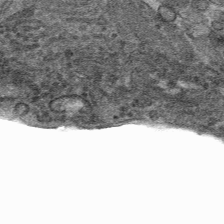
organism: Mouse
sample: Mouse hepatocytes